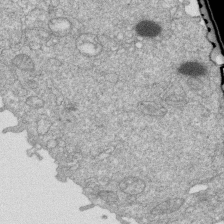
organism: Human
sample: HeLa cell HIV synapse